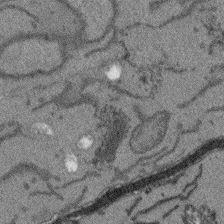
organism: Arabidopsis thaliana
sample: Root tip